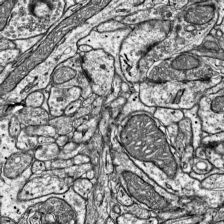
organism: Mouse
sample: Visual Cortex